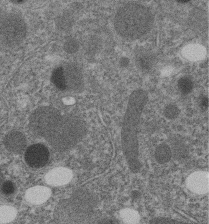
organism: C. elegans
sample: C. elegans embryo early stage